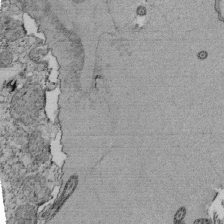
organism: Tetrahymena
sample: Cilia in tetrahymena